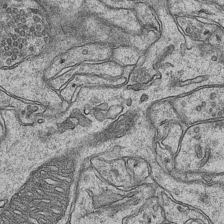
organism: Mouse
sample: CA1 Hippocampus